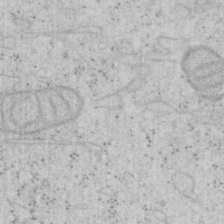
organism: Human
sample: HeLa cells